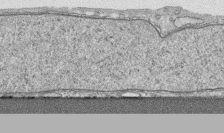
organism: Human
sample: CRL-1474